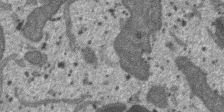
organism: Human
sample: Lung epithelial cells infected with SARS-CoV-2